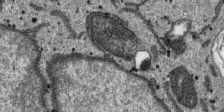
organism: Human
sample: Lung epithelial cells, uninfected (mock) control